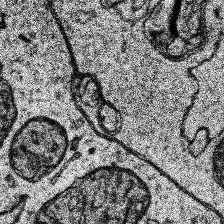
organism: Human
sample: Temporal Lobe